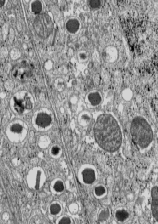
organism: C57BL Mouse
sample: Pancreatic islet